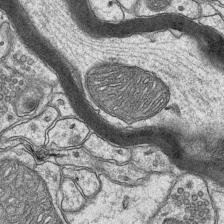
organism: Mouse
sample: CA1 Hippocampus